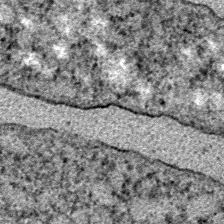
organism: E. coli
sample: E. Coli Bacteria